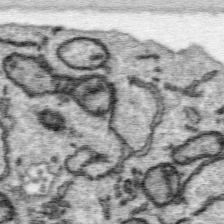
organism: Human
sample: HeLa cells